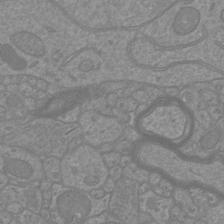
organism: Mouse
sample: Cortical neurons